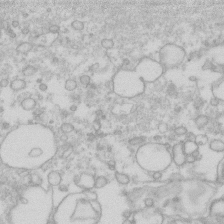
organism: Human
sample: Fibroblast cells